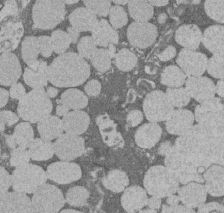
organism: Rat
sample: Salivary granule